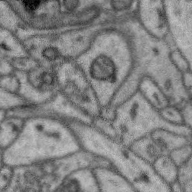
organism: Zebra finch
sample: Brain